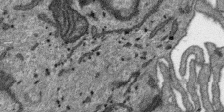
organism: Human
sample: Lung epithelial cells, uninfected (mock) control